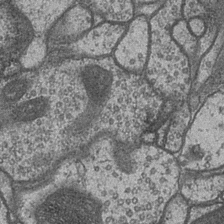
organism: Drosophila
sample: Optic medulla